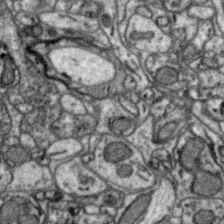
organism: Zebra finch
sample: Brain